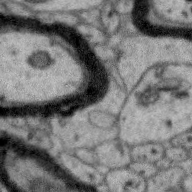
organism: Zebra finch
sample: Brain